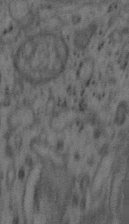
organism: Human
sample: HeLa cells